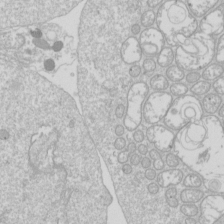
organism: Drosophila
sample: Cell division; meiosis; drosophila spermatocytes